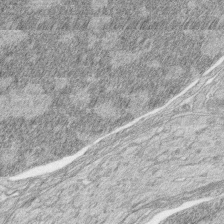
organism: Zebrafish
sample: synaptic ribbons in rod cells and cone cells